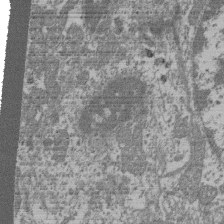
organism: Mouse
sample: Glomerulus